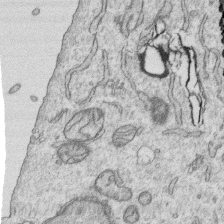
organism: Human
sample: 1205lu cells